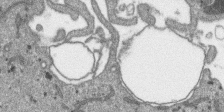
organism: Human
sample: Lung epithelial cells infected with SARS-CoV-2